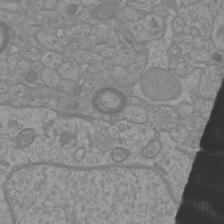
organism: Mouse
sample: Cortical neurons